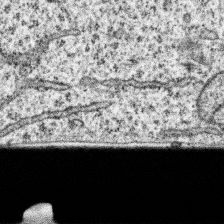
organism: Human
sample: HeLa cells